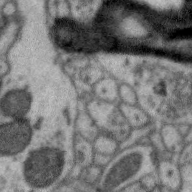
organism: Zebra finch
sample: Brain